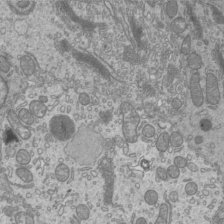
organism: Mouse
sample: Cilia; mouse epididymis